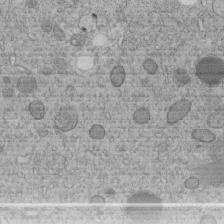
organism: C. elegans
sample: C. elegans embryo early stage